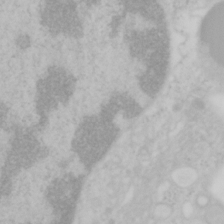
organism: Mouse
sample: OT-I killer T cells with ID8 ovarian cancer cells